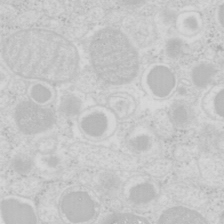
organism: Mouse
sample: Pancreas